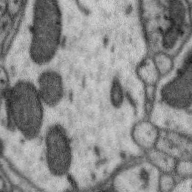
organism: Zebra finch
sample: Brain